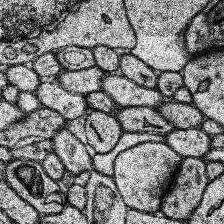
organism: Human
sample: Temporal Lobe